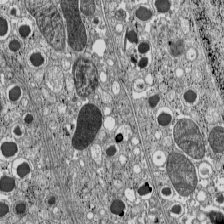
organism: C57BL Mouse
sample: Pancreatic islet